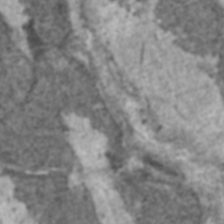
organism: C57BL Mouse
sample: Heart